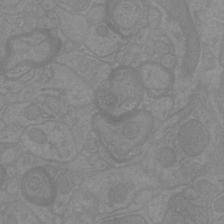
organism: Mouse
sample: Cortical neurons